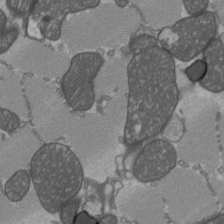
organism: C57BL Mouse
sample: Heart